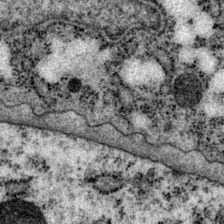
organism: P. pacificus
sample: Pharynx